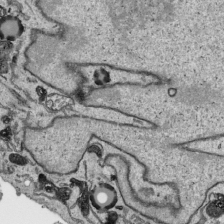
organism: Human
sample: Mitochondria in HCT116 cells